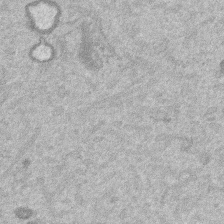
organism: Mouse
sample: Dividing mouse embryo 1 cell stage